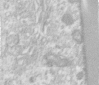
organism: Human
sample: Centriole in RPE cells